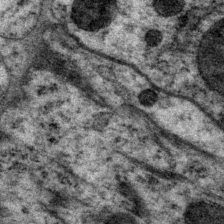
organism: P. pacificus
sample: Pharynx